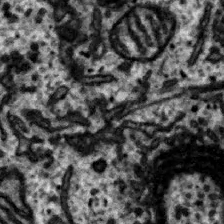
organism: Human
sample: HeLa cells